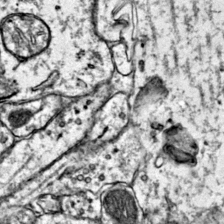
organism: Mouse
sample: Primary visual cortex